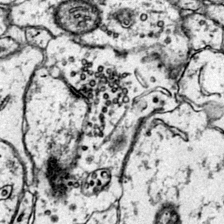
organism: Mouse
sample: Primary visual cortex